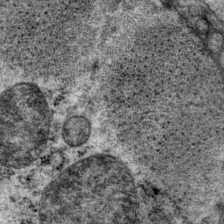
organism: P. pacificus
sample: Pharynx